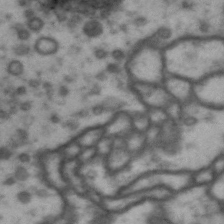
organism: Drosophila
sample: Brain